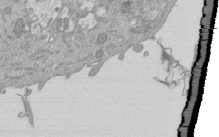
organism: Mouse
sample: ED-1 cell nuclei; centrioles